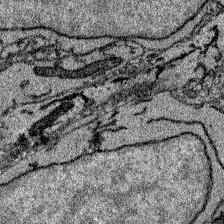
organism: Zebrafish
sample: Larval olfactory bulb